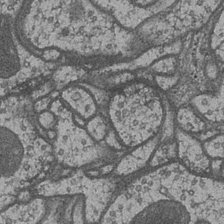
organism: Drosophila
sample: Optic medulla